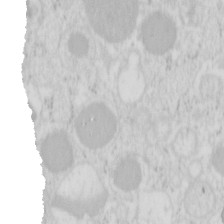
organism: Mouse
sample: Pancreas